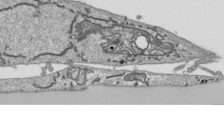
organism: Human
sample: Mitochondria in HCT116 cells